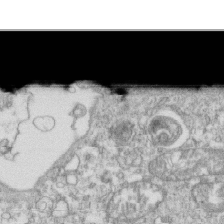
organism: Mouse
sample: Activated OT-1 CD8+ T cells